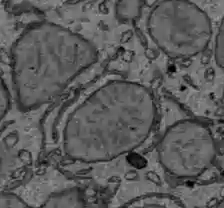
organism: C57BL Mouse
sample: Liver